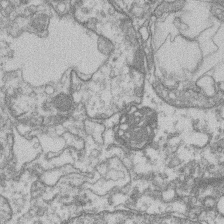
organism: Mouse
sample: T cell stromal cell synapse